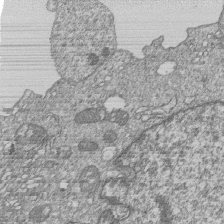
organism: Human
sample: MDA-MB-231 cells